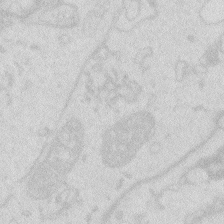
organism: Zebrafish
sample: Macrophage